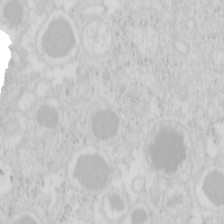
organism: Mouse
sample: Pancreas